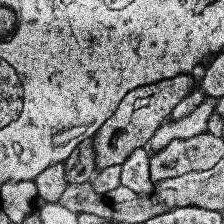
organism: Human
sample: Temporal Lobe